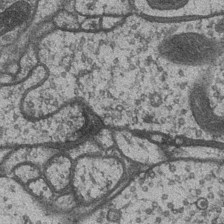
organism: Drosophila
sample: Optic medulla